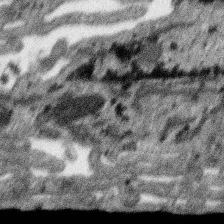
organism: Human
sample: Lung epithelial cells infected with SARS-CoV-2